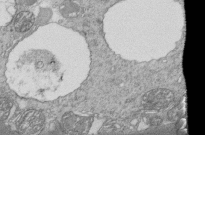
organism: Tetrahymena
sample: Cilia in tetrahymena